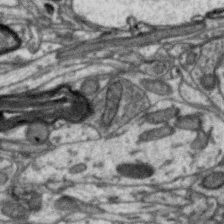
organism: Zebra finch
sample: Brain